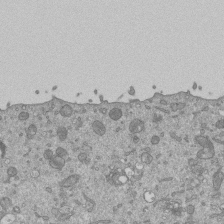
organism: Mouse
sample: ED-1 cell nuclei; centrioles